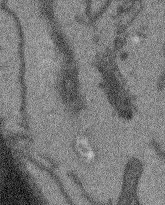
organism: Arabidopsis thaliana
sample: Root tip